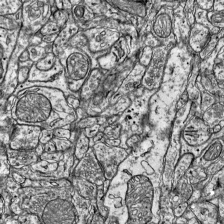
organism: Mouse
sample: Visual Cortex